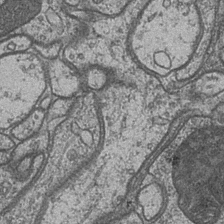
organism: Drosophila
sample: Optic medulla